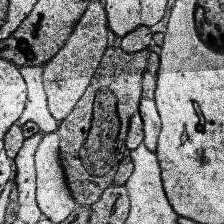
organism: Human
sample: Temporal Lobe